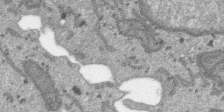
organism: Human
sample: Lung epithelial cells infected with SARS-CoV-2